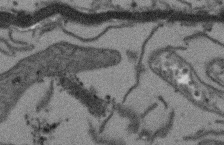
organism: Arabidopsis thaliana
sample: Root tip